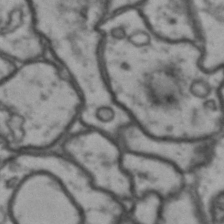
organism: Drosophila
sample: Brain